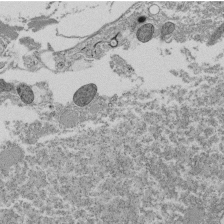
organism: Tetrahymena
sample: Cilia in tetrahymena